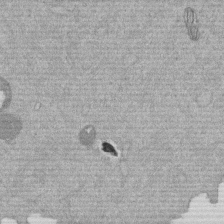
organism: Mouse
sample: Dividing mouse embryo 1 cell stage